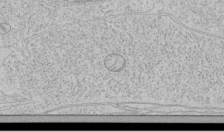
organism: Human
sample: Mitochondria in HCT116 cells